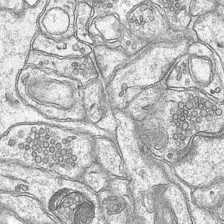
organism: Mouse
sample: CA1 Hippocampus